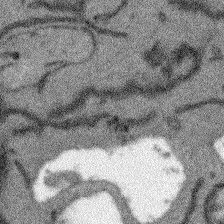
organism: Arabidopsis thaliana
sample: Root tip